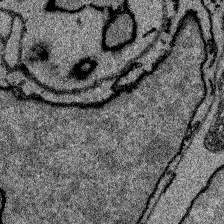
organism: Zebrafish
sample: Larval olfactory bulb